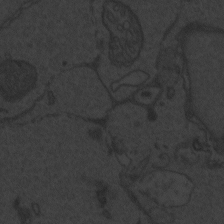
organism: Zebrafish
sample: Macrophage infected with Toxoplasma gondii